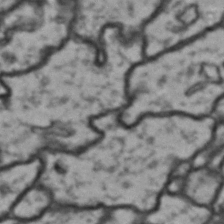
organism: Drosophila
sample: Brain